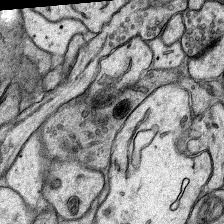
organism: Rat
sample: Hippocampus